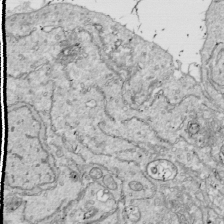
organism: Drosophila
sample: Cell division; meiosis; drosophila spermatocytes